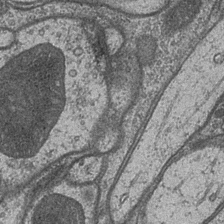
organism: Drosophila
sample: Optic medulla